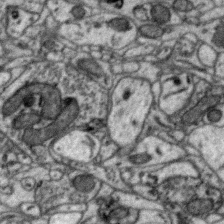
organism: Zebra finch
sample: Brain